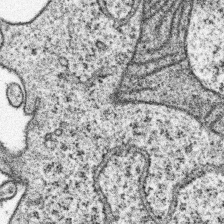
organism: Human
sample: HeLa cells